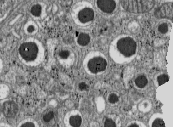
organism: C57BL Mouse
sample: Pancreatic islet